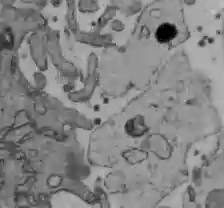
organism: C57BL Mouse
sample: Liver